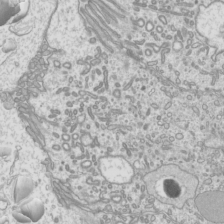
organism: Mouse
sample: Cilia; mouse epididymis